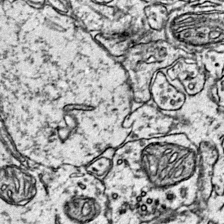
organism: Mouse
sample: Primary visual cortex